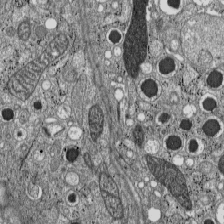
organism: C57BL Mouse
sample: Pancreatic islet